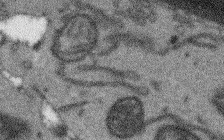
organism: Arabidopsis thaliana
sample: Root tip